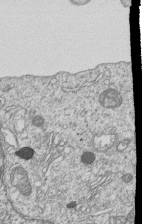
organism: Human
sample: MDA-MB-231 cells